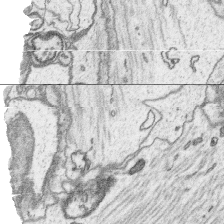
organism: Platynereis dumerilii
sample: Parapodia